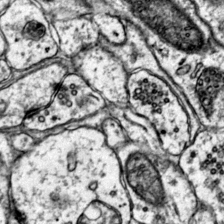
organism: Mouse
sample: Primary visual cortex